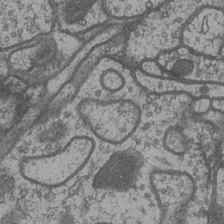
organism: Drosophila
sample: Optic medulla